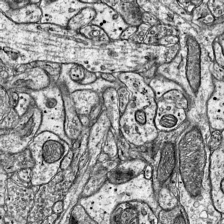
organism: Mouse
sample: Visual Cortex